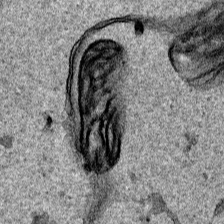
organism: Human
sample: Mitochondria in HCT116 cells